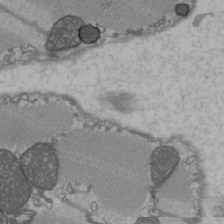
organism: C57BL Mouse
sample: Heart